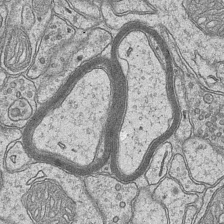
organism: Mouse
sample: CA1 Hippocampus